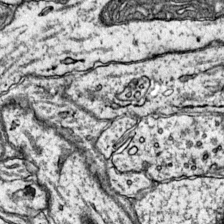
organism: Mouse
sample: Primary visual cortex